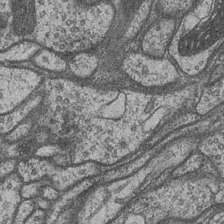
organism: Drosophila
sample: Optic medulla